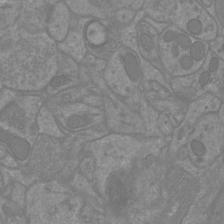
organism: Mouse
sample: Cortical neurons